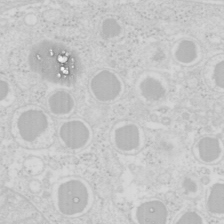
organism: Mouse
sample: Pancreas